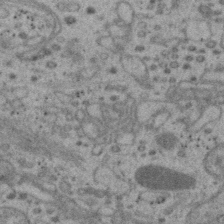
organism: Human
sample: HeLa cells